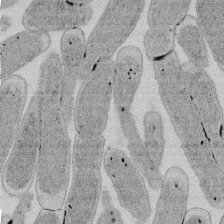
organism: E. coli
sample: Bacterial nucleoid